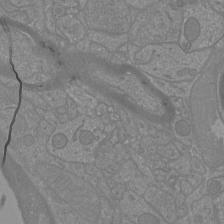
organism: Mouse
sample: Cortical neurons